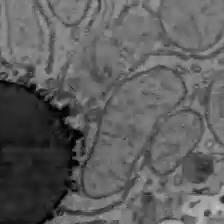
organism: C57BL Mouse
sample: Liver